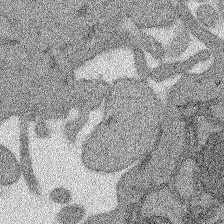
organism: Human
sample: HeLa cells